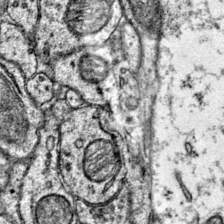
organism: Mouse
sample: Primary visual cortex